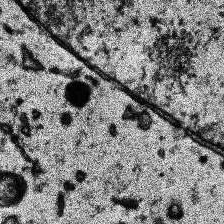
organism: Human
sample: Temporal Lobe